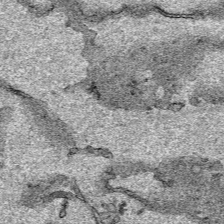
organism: Human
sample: Mitochondria in HCT116 cells